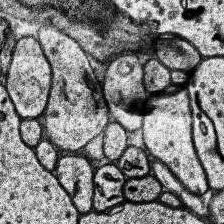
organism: Human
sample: Temporal Lobe